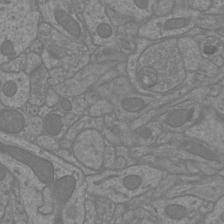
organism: Mouse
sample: Cortical neurons